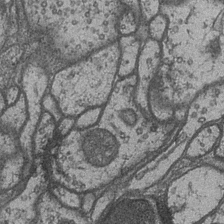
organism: Drosophila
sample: Optic medulla